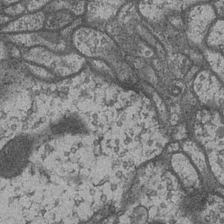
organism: Drosophila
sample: Optic medulla